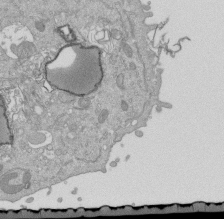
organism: Mouse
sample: ED-1 cell nuclei; centrioles